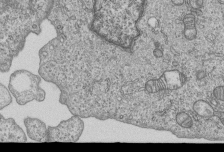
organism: Human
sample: MDA-MB-231 cells